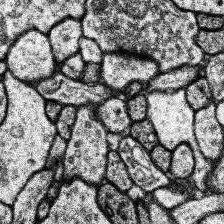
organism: Human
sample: Temporal Lobe